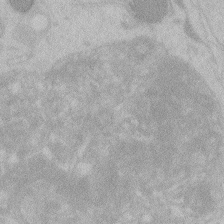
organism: Zebrafish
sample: Macrophage infected with Toxoplasma gondii